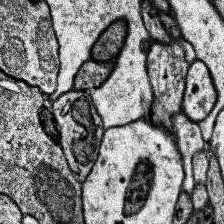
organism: Human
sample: Temporal Lobe